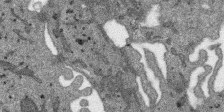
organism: Human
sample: Lung epithelial cells infected with SARS-CoV-2